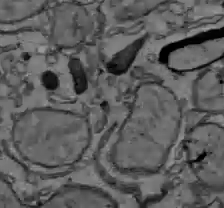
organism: C57BL Mouse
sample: Liver